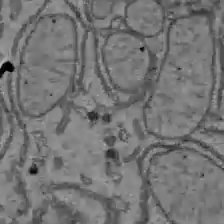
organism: C57BL Mouse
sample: Liver